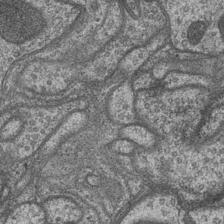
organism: Drosophila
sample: Optic medulla